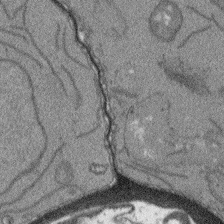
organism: Arabidopsis thaliana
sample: Root tip